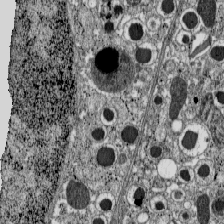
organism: C57BL Mouse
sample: Pancreatic islet